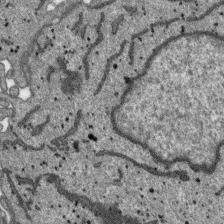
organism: Human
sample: Lung epithelial cells, uninfected (mock) control